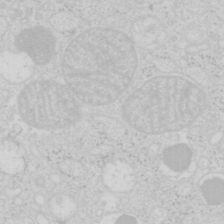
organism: Mouse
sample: Pancreas